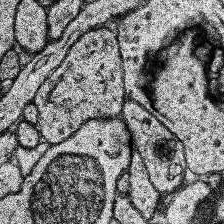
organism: Human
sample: Temporal Lobe